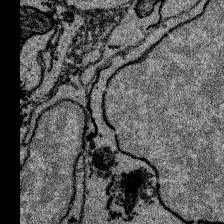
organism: Zebrafish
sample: Larval olfactory bulb